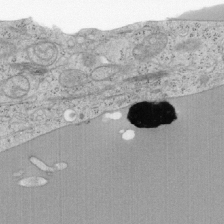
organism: Human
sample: HeLa cells